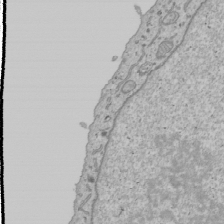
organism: Human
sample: Mitochondria in U2OS cells